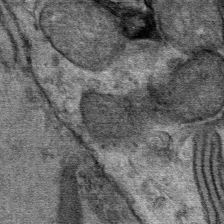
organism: Mouse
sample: Mouse Salivary gland